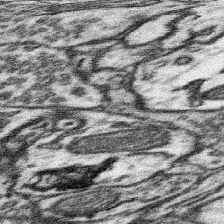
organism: Mouse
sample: Somatosensory cortex neuropil